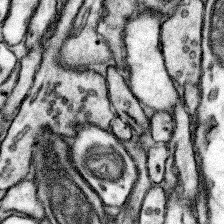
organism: Mouse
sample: Somatosensory cortex neuropil